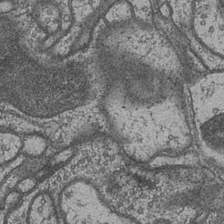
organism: Drosophila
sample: Optic medulla